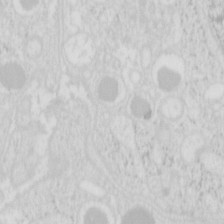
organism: Mouse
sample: Pancreas